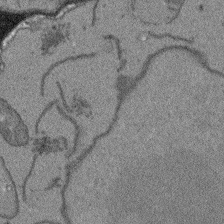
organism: Arabidopsis thaliana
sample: Root tip